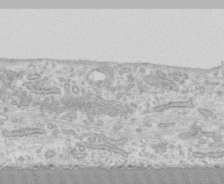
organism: Human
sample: CRL-1474